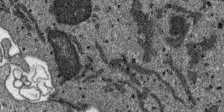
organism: Human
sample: Lung epithelial cells infected with SARS-CoV-2